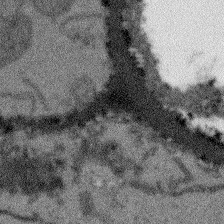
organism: Arabidopsis thaliana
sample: Root tip